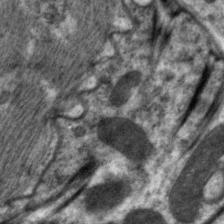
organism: C. elegans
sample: Pharynx